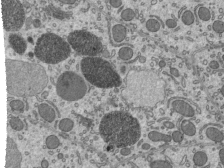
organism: Mouse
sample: Mouse epididymis efferent ductule cilia